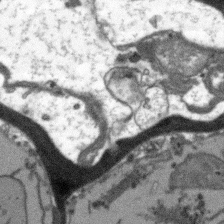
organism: Arabidopsis thaliana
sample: Root tip